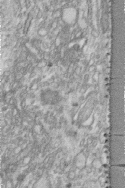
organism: Human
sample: Centriole in fibroblast cells